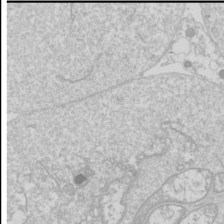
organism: Drosophila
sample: Cell division; meiosis; drosophila spermatocytes